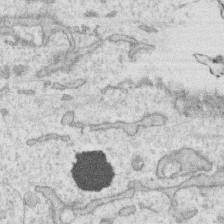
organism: Human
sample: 1205lu cells